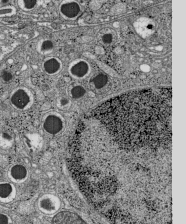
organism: C57BL Mouse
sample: Pancreatic islet